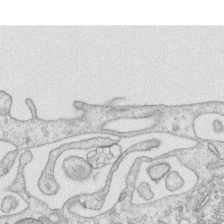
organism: Human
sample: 1205lu cells